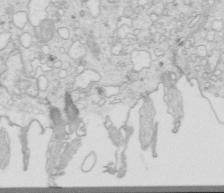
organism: Mouse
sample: Multiciliated cells